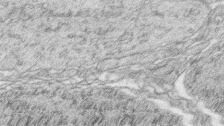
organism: Zebrafish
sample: synaptic ribbons in rod cells and cone cells